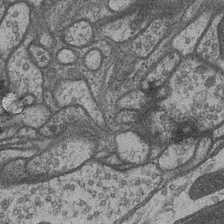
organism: Drosophila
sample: Optic medulla